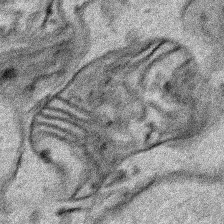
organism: Human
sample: Mitochondria in HCT116 cells